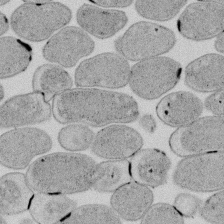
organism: E. coli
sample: Bacterial nucleoid